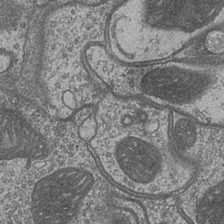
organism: Drosophila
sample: Optic medulla